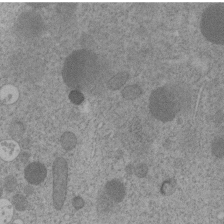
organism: C. elegans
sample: C. elegans embryo early stage